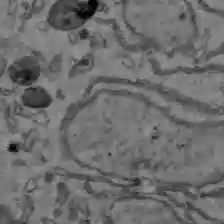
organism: C57BL Mouse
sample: Liver